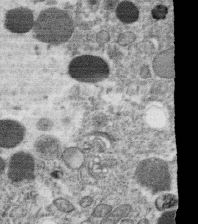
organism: C. elegans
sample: C. elegans oocyte; sperm cells